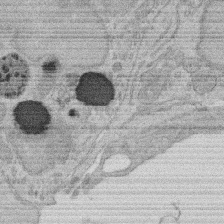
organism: Rat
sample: Salivary granule